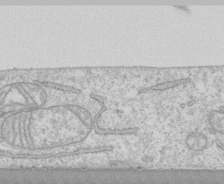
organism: Human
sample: CRL-1474